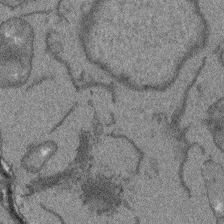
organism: Arabidopsis thaliana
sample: Root tip